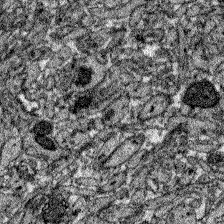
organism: Zebrafish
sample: Larval olfactory bulb